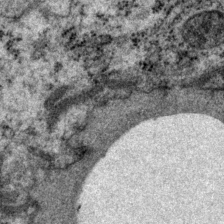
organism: P. pacificus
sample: Pharynx